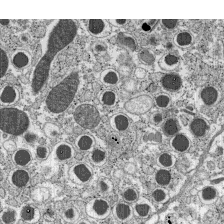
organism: C57BL Mouse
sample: Pancreatic islet